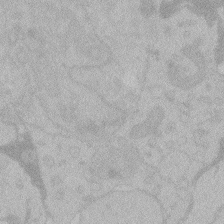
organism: Zebrafish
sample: Macrophage infected with Toxoplasma gondii